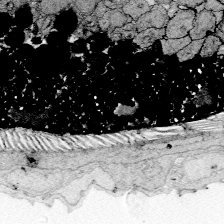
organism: Zebrafish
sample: Whole-Brain